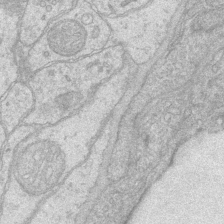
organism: Mouse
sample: CA1 Hippocampus